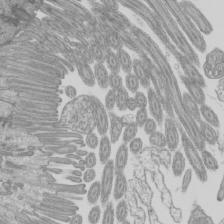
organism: Mouse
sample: Cilia; mouse epididymis